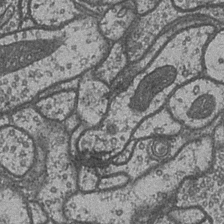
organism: Drosophila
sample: Optic medulla